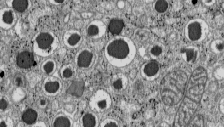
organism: C57BL Mouse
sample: Pancreatic islet